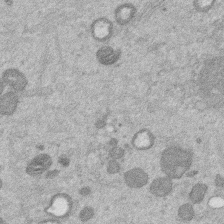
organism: Mouse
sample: Dividing mouse embryo 1 cell stage